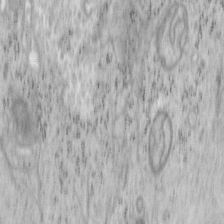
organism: Human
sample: HeLa cells